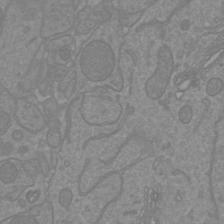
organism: Mouse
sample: Cortical neurons